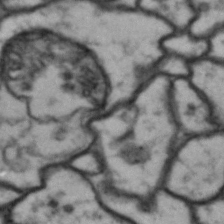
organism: Drosophila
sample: Brain